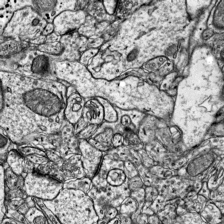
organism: Mouse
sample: Visual Cortex